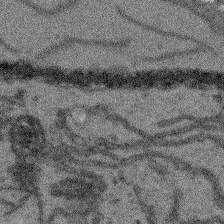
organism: Arabidopsis thaliana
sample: Root tip